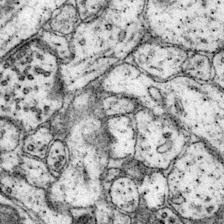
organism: Mouse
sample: Primary visual cortex